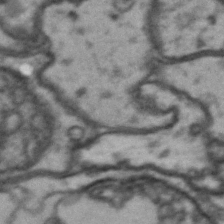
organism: Drosophila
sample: Brain